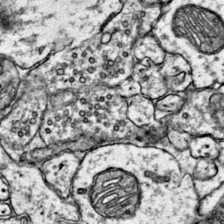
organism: Mouse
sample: Primary visual cortex